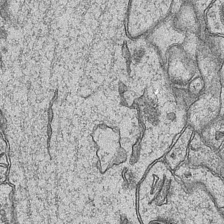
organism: Mouse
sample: CA1 Hippocampus